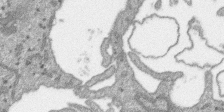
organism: Human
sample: Lung epithelial cells infected with SARS-CoV-2